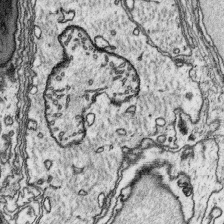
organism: Platynereis dumerilii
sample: Parapodia